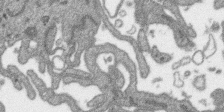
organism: Human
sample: Lung epithelial cells infected with SARS-CoV-2